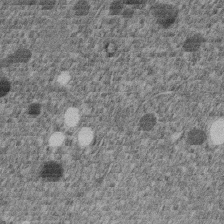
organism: C. elegans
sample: C. elegans embryo early stage